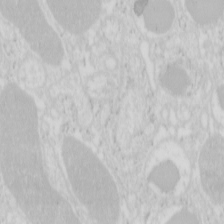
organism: Mouse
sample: Pancreas